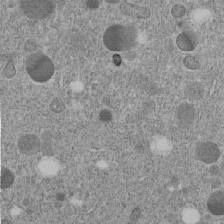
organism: C. elegans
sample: C. elegans embryo early stage